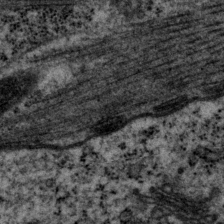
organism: P. pacificus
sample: Pharynx